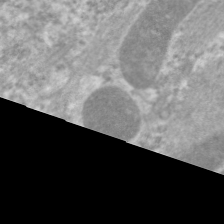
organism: C. elegans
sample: Pharynx